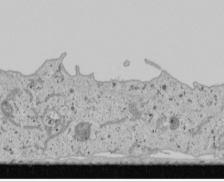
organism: Human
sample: Mitochondria in U2OS cells